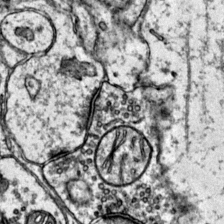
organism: Mouse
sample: Primary visual cortex